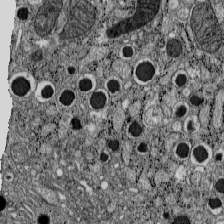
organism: C57BL Mouse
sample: Pancreatic islet